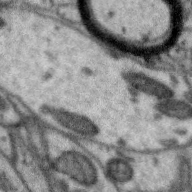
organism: Zebra finch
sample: Brain